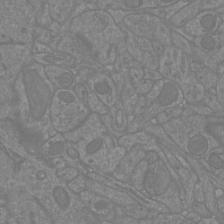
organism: Mouse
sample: Cortical neurons